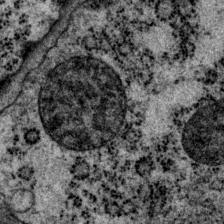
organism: P. pacificus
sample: Pharynx